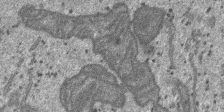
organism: Human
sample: Lung epithelial cells infected with SARS-CoV-2